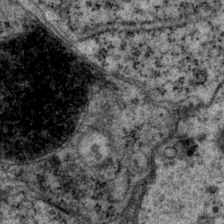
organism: P. pacificus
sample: Pharynx